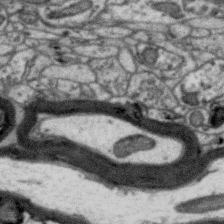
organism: Zebra finch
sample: Brain